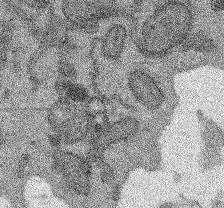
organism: Human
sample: HeLa cells